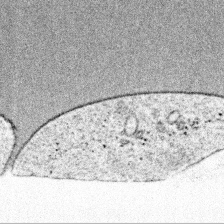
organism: Human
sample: HeLa cells